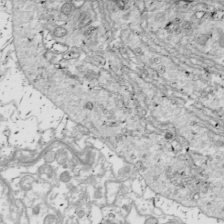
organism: Drosophila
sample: Cell division; meiosis; drosophila spermatocytes